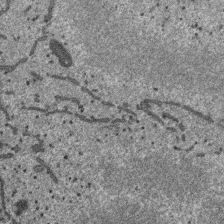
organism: Human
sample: Lung epithelial cells infected with SARS-CoV-2